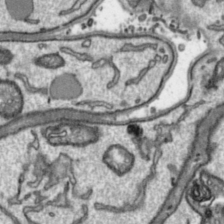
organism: Toxoplasma gondii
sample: Parasites in a vacuole inside a host cell